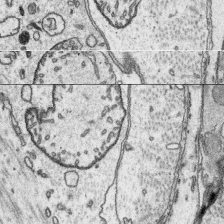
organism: Platynereis dumerilii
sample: Parapodia